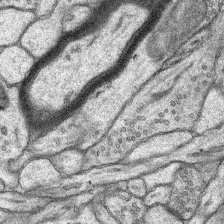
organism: Rat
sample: Hippocampus